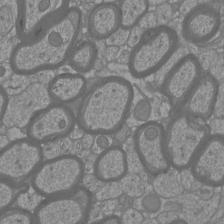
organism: Mouse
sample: Cortical neurons